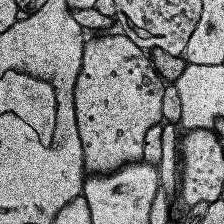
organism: Human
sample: Temporal Lobe